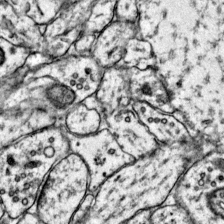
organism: Mouse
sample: Primary visual cortex